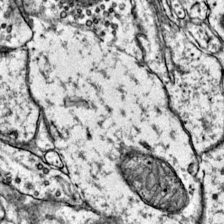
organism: Mouse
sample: Primary visual cortex